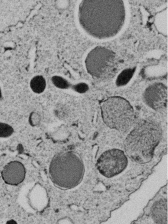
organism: C. elegans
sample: C. elegans embryo early stage